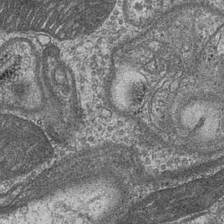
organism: Drosophila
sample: Optic medulla